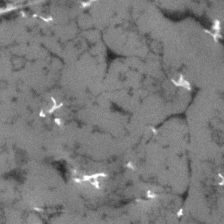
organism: Human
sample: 1205lu cells